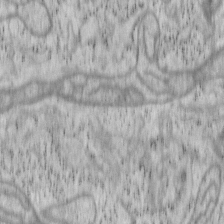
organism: Human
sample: HeLa cells